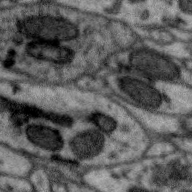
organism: Zebra finch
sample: Brain